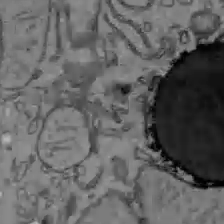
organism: C57BL Mouse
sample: Liver